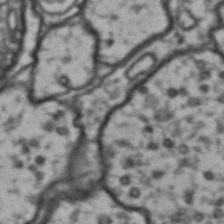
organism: Drosophila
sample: Brain